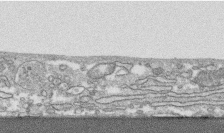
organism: Human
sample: CRL-1474